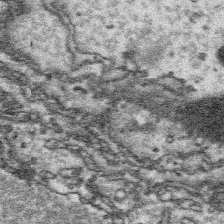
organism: Platynereis dumerilii